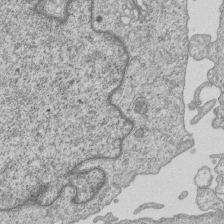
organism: Human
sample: MDA-MB-231 cells